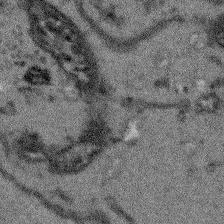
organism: Arabidopsis thaliana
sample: Root tip